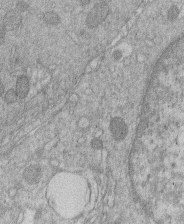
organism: Human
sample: Macrophage cells